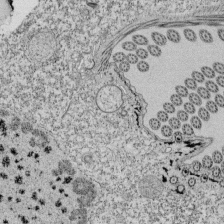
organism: Tetrahymena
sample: Cilia in tetrahymena